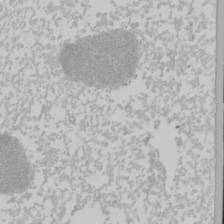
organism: Mouse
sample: Cancer cell death in ED-1 cells